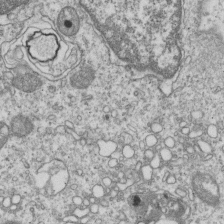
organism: Human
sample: MDA-MB-231 cells